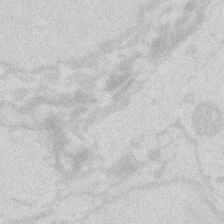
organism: Zebrafish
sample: Macrophage